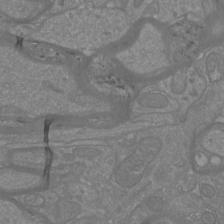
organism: Mouse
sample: Cortical neurons